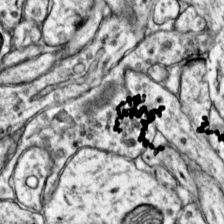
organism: Mouse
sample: Primary visual cortex